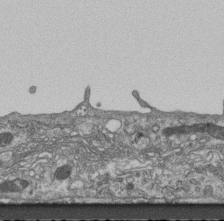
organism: Mouse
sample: Centriole in ependymal cells